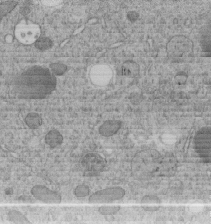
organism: C. elegans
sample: C. elegans embryo early stage